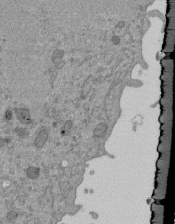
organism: Mouse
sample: ED-1 cell nuclei; centrioles